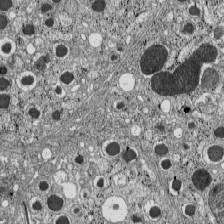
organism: C57BL Mouse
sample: Pancreatic islet